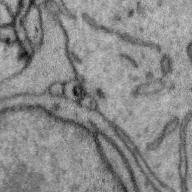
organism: Zebra finch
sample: Brain